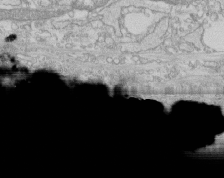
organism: Human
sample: CRL-1474